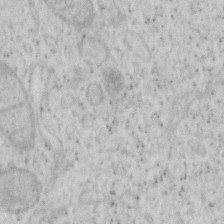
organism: Human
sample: HeLa cells